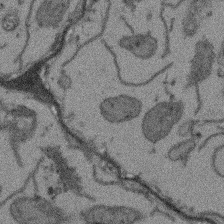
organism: Arabidopsis thaliana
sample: Root tip